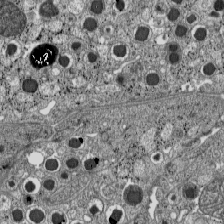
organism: C57BL Mouse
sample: Pancreatic islet